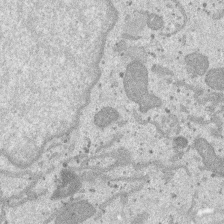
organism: Human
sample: Lung epithelial cells infected with SARS-CoV-2